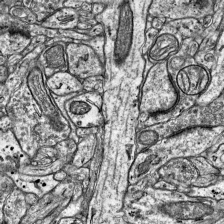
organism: Mouse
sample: Visual Cortex